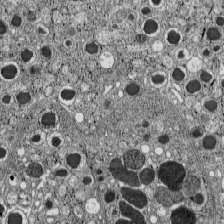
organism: C57BL Mouse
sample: Pancreatic islet